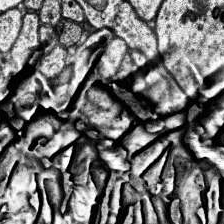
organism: Human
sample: Temporal Lobe